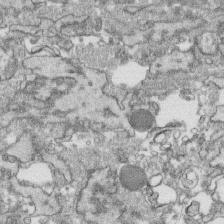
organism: Human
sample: CRL-1474